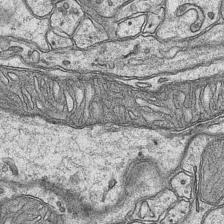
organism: Mouse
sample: CA1 Hippocampus